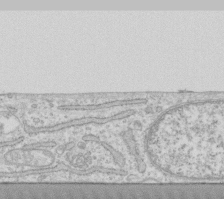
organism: Human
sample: Fibroblast cells